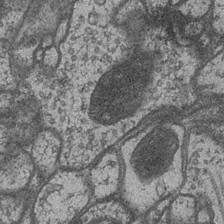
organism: Drosophila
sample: Optic medulla